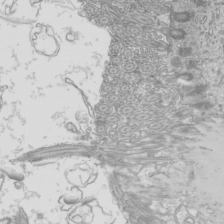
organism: Mouse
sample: Cilia; mouse epididymis